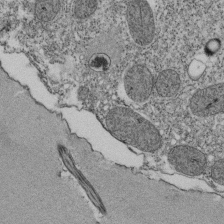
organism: Tetrahymena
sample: Cilia in tetrahymena